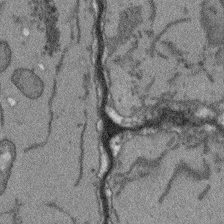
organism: Arabidopsis thaliana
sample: Root tip